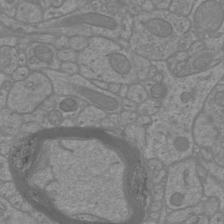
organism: Mouse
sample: Cortical neurons